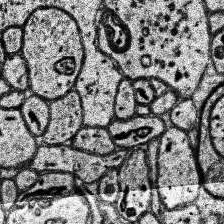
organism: Human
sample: Temporal Lobe